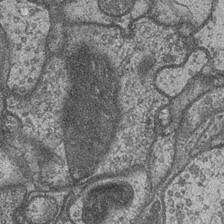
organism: Drosophila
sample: Optic medulla